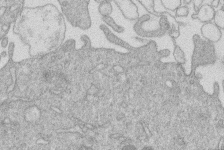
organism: Human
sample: Macrophage cells